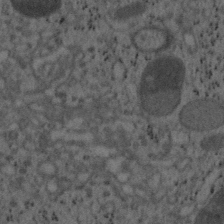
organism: Human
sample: HeLa cells